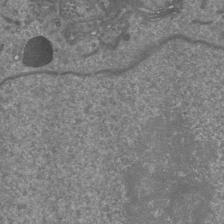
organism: Mouse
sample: Cortical neurons